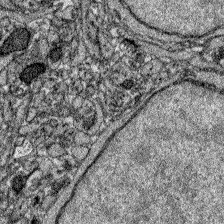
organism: Zebrafish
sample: Larval olfactory bulb